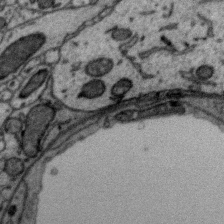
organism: Zebra finch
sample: Brain